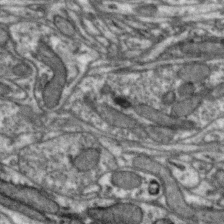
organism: Zebra finch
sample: Brain